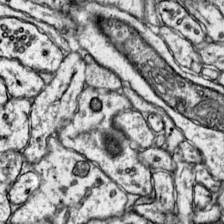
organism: Mouse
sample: Primary visual cortex